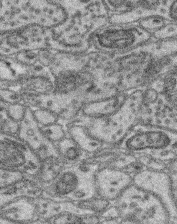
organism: Mouse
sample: Retina